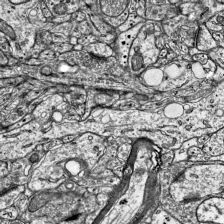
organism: Mouse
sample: Visual Cortex